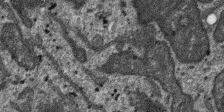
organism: Human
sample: Lung epithelial cells infected with SARS-CoV-2